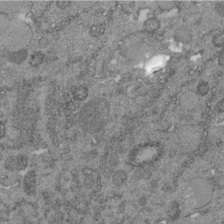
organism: C. elegans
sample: C. elegans embryo early stage